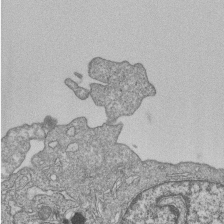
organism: Human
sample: MDA-MB-231 cells